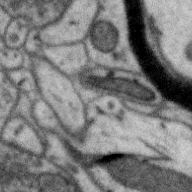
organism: Zebra finch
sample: Brain